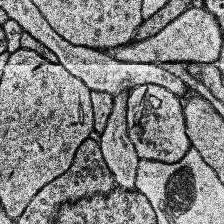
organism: Human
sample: Temporal Lobe